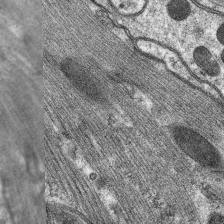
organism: C. elegans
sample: Pharynx